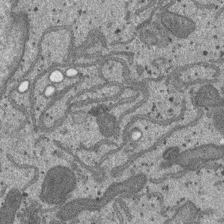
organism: Human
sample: Lung epithelial cells infected with SARS-CoV-2